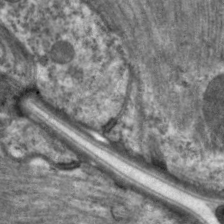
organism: C. elegans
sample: Pharynx